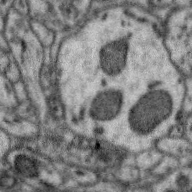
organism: Zebra finch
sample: Brain